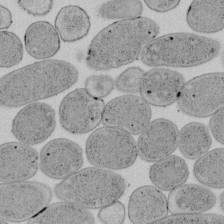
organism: E. coli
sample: Bacterial nucleoid